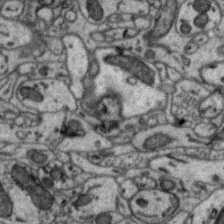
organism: Zebra finch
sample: Brain